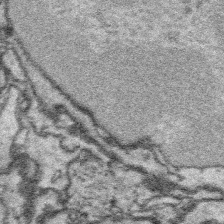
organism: Platynereis dumerilii